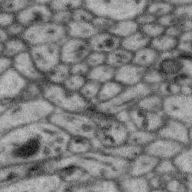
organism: Zebra finch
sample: Brain